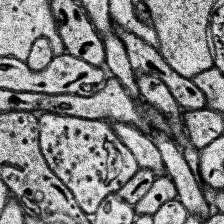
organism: Human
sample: Temporal Lobe